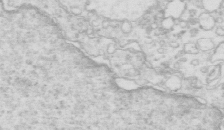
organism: Mouse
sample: Multiciliated cells